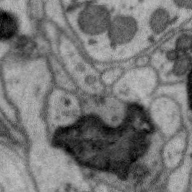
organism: Zebra finch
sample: Brain